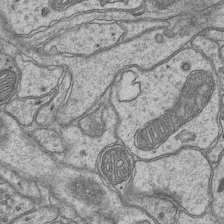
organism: Mouse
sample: CA1 Hippocampus